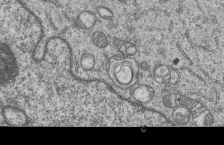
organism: Human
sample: MDA-MB-231 cells